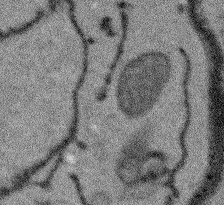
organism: Arabidopsis thaliana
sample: Root tip